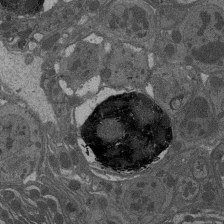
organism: Drosophila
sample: Antenna